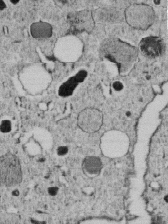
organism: C. elegans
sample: C. elegans embryo early stage